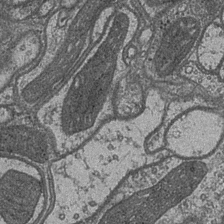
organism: Drosophila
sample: Optic medulla